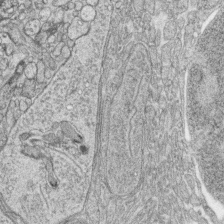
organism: Zebrafish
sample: synaptic ribbons in rod cells and cone cells